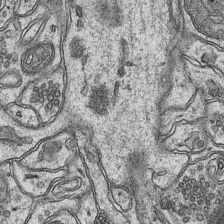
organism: Mouse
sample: CA1 Hippocampus